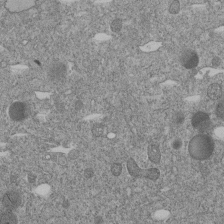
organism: C. elegans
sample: C. elegans embryo early stage